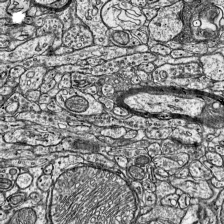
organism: Mouse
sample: Visual Cortex